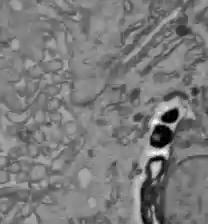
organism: C57BL Mouse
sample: Liver